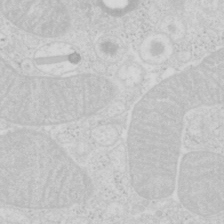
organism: Mouse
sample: Pancreas